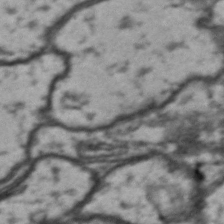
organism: Drosophila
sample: Brain